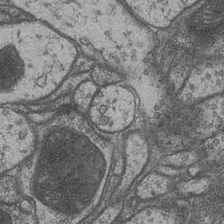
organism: Drosophila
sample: Optic medulla